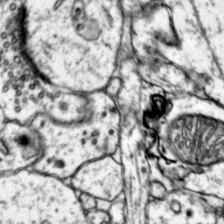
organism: Mouse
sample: Primary visual cortex